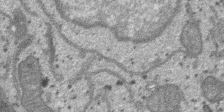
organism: Human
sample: Lung epithelial cells infected with SARS-CoV-2